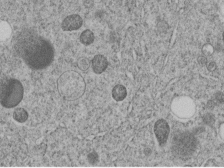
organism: C. elegans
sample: C. elegans embryo early stage